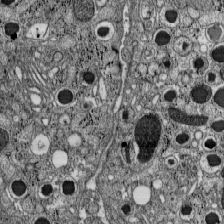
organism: C57BL Mouse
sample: Pancreatic islet